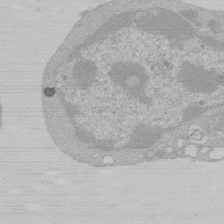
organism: Mouse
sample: Activated Pmel transgenic CD8+ T Cells